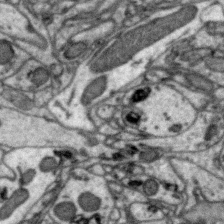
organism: Zebra finch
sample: Brain